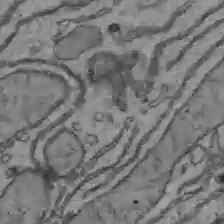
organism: C57BL Mouse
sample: Liver